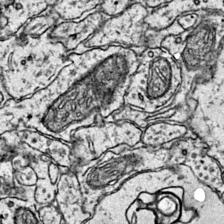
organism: Mouse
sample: Primary visual cortex